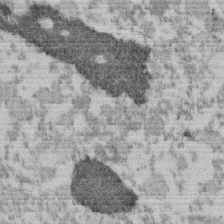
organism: Mouse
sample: Dividing mouse embryo 1 cell stage